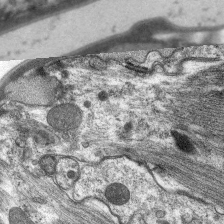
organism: C. elegans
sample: Pharynx